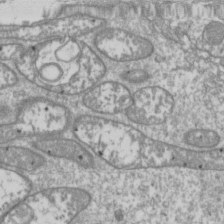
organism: Drosophila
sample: Cell division; meiosis; drosophila spermatocytes